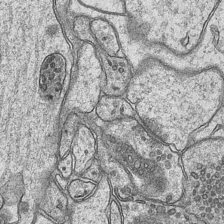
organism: Mouse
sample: CA1 Hippocampus